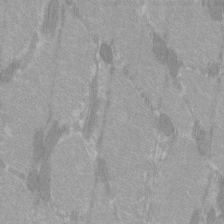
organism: C57BL Mouse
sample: Tibialis anterior muscle cell